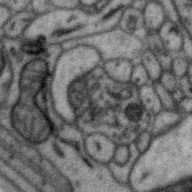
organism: Zebra finch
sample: Brain